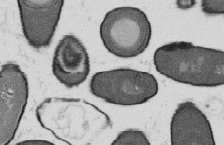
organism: B. subtilis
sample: Bacterial spore